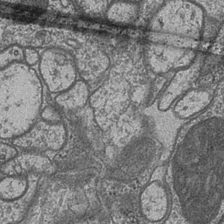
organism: Drosophila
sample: Optic medulla